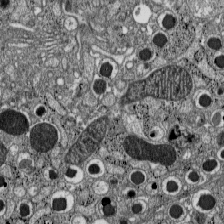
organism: C57BL Mouse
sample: Pancreatic islet